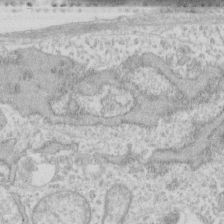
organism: Human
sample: Fibroblast cells